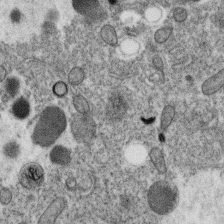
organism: C. elegans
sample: C. elegans oocyte; sperm cells